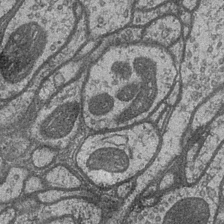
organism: Drosophila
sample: Optic medulla